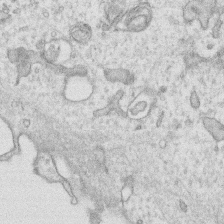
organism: Human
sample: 1205lu cells